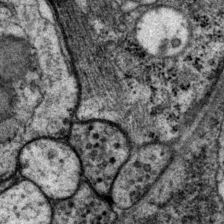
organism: P. pacificus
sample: Pharynx